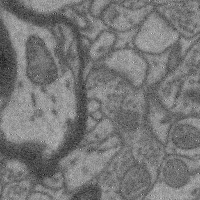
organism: Mouse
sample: Cerebral cortex